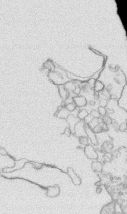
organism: Human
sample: HeLa cell HIV synapse